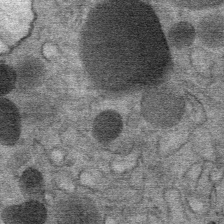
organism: Mouse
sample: Mouse Salivary gland